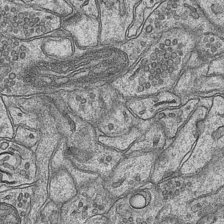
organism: Mouse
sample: CA1 Hippocampus